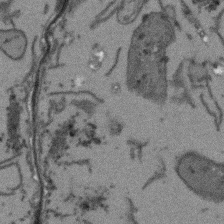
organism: Arabidopsis thaliana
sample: Root tip